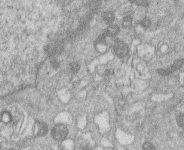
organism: Human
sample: Macrophage cells